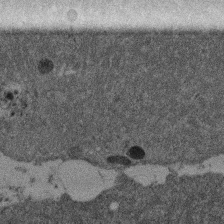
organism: Mouse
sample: Dividing mouse embryo 1 cell stage